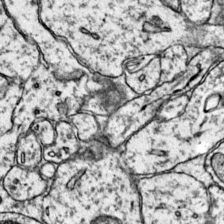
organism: Mouse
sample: Primary visual cortex